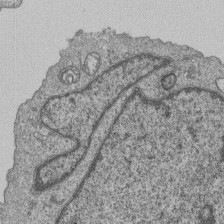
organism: Human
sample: MDA-MB-231 cells